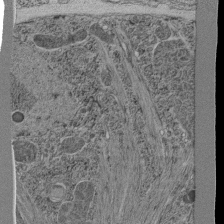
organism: C. elegans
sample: C. elegans pharynx